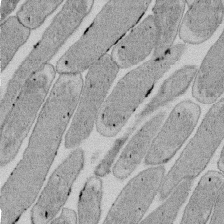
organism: E. coli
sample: Bacterial nucleoid